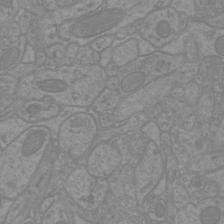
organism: Mouse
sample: Cortical neurons